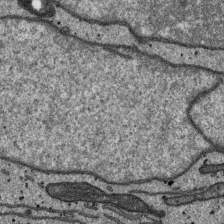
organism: Human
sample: Lung epithelial cells, uninfected (mock) control